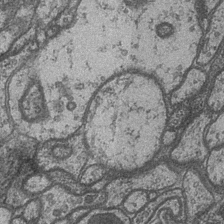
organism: Drosophila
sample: Optic medulla